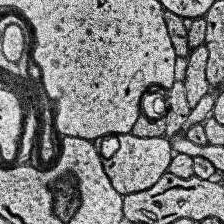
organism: Human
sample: Temporal Lobe